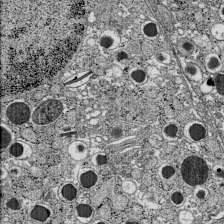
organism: C57BL Mouse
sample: Pancreatic islet